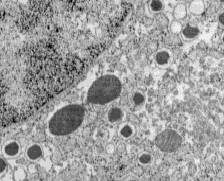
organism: C57BL Mouse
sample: Pancreatic islet